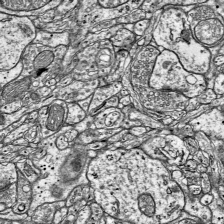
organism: Mouse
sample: Visual Cortex